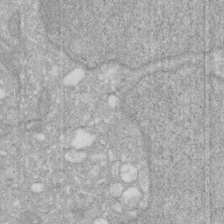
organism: Human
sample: HIV infected U937 cells